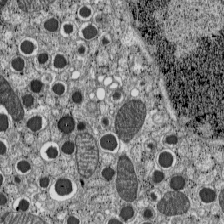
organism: C57BL Mouse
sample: Pancreatic islet